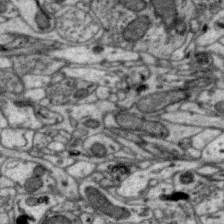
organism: Zebra finch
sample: Brain